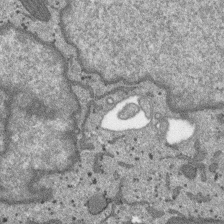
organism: Human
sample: Lung epithelial cells infected with SARS-CoV-2